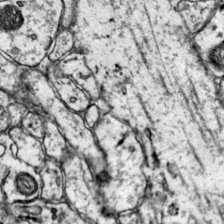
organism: Mouse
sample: Primary visual cortex